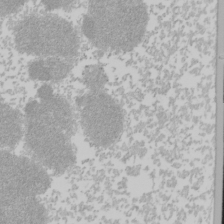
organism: Mouse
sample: Cancer cell death in ED-1 cells